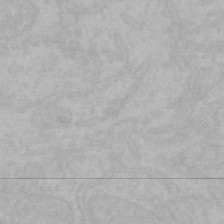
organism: Mouse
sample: Choroid plexus